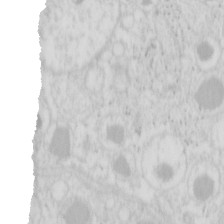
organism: Mouse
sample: Pancreas